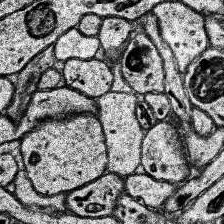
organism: Human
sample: Temporal Lobe